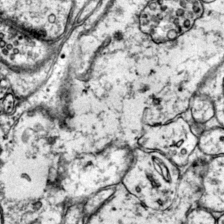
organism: Mouse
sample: Primary visual cortex